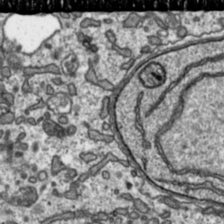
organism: Toxoplasma gondii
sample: Parasites in a vacuole inside a host cell